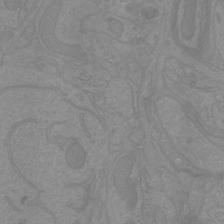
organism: Mouse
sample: Cortical neurons